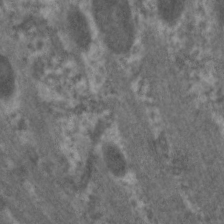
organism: C. elegans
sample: Pharynx